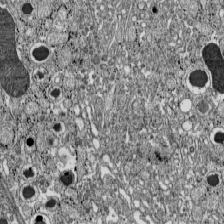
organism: C57BL Mouse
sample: Pancreatic islet